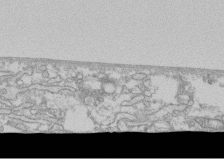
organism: Human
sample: CRL-1474